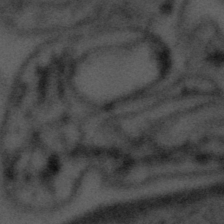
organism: Tuwongella immobilis